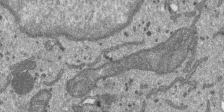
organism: Human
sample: Lung epithelial cells infected with SARS-CoV-2